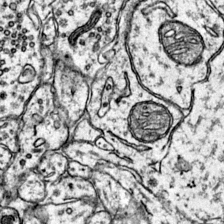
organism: Mouse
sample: Primary visual cortex